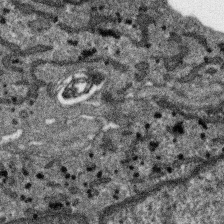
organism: Human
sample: Lung epithelial cells infected with SARS-CoV-2